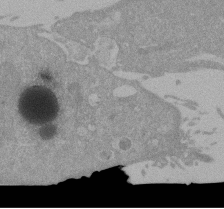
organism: Mouse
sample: ED-1 cell nuclei; centrioles